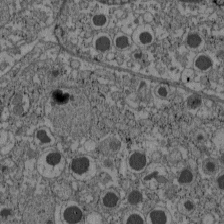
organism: C57BL Mouse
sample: Pancreatic islet